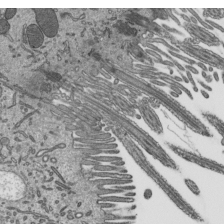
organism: Mouse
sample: Mouse epididymis efferent ductule cilia